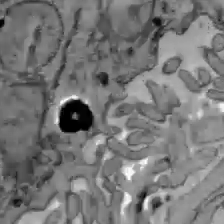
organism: C57BL Mouse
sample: Liver